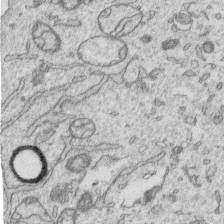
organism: Human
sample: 1205lu cells